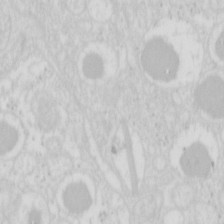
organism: Mouse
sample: Pancreas